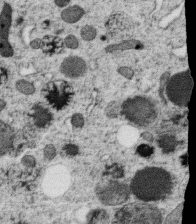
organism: C. elegans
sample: C. elegans oocyte; sperm cells